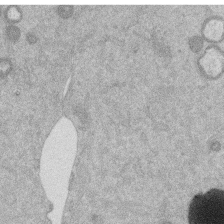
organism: Mouse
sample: Dividing mouse embryo 1 cell stage